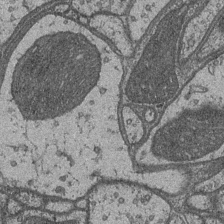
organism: Drosophila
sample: Optic medulla